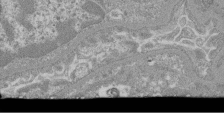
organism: Mouse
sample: Glomerulus